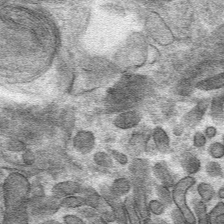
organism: Mouse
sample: Mouse hepatocytes